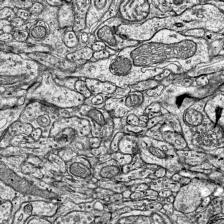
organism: Mouse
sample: Visual Cortex